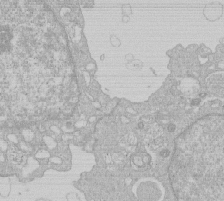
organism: Human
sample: Macrophage cells